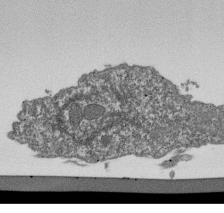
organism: Dictyostelium discoideum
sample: Dictyostelium multivesicular bodies